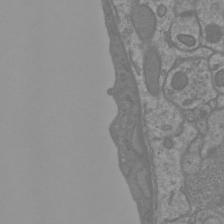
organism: Mouse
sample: Cortical neurons